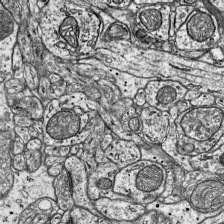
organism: Mouse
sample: Visual Cortex